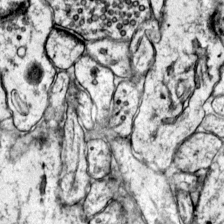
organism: Mouse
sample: Primary visual cortex